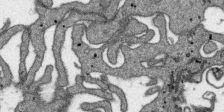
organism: Human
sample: Lung epithelial cells, uninfected (mock) control